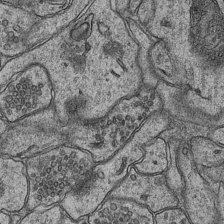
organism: Mouse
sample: CA1 Hippocampus